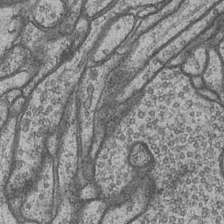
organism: Drosophila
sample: Optic medulla